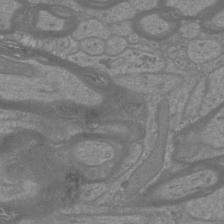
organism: Mouse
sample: Cortical neurons